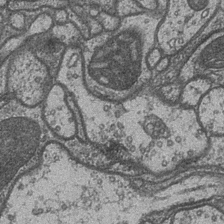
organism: Drosophila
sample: Optic medulla